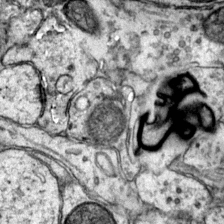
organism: Mouse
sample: Primary visual cortex